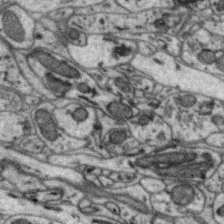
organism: Zebra finch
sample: Brain